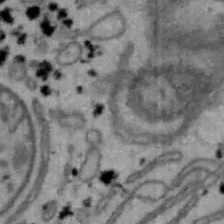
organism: Mouse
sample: Liver